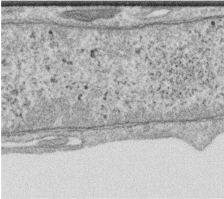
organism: Human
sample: Centriole in RPE cells